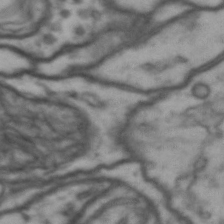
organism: Drosophila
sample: Brain